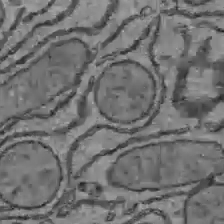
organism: C57BL Mouse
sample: Liver